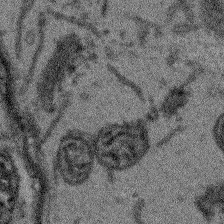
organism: Arabidopsis thaliana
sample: Root tip